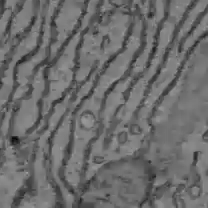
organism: C57BL Mouse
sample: Liver